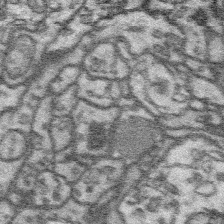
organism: Platynereis dumerilii